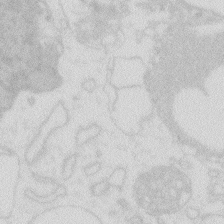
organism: Zebrafish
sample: Macrophage